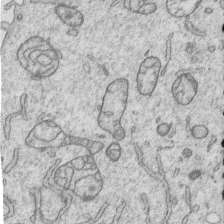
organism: Human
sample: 1205lu cells